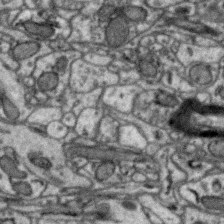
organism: Zebra finch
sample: Brain